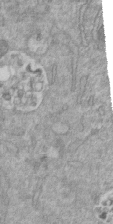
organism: Mouse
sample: ED-1 cell nuclei; centrioles